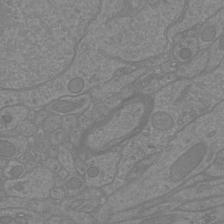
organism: Mouse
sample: Cortical neurons